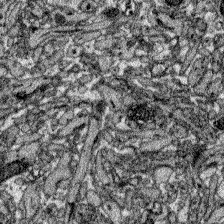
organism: Zebrafish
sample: Larval olfactory bulb